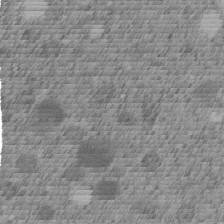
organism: C. elegans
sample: C. elegans embryo early stage